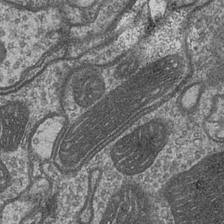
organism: Drosophila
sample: Optic medulla